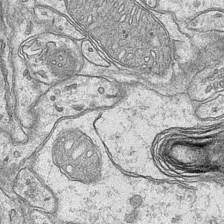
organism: Mouse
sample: CA1 Hippocampus